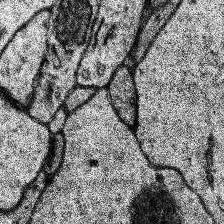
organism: Human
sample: Temporal Lobe